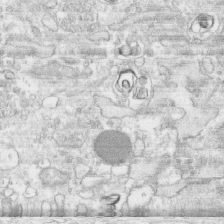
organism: Human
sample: CRL-1474